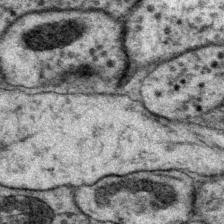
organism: P. pacificus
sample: Pharynx